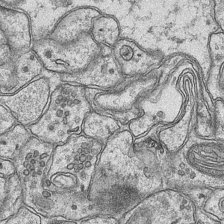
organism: Mouse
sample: CA1 Hippocampus